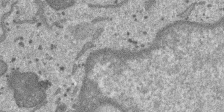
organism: Human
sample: Lung epithelial cells infected with SARS-CoV-2